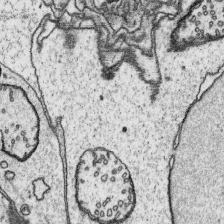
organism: Platynereis dumerilii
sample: Parapodia